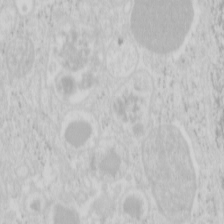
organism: Mouse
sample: Pancreas